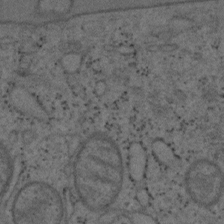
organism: Human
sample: HeLa cells